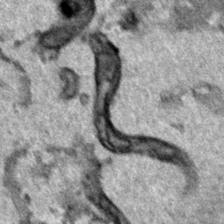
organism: Human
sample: Mitochondria in HCT116 cells